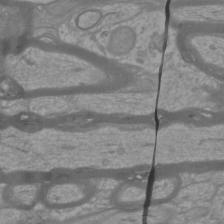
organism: Mouse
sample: Cortical neurons